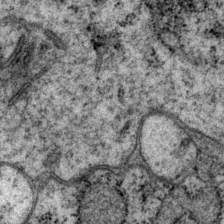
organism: P. pacificus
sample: Pharynx